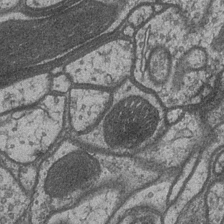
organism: Drosophila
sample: Optic medulla